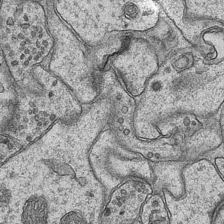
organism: Mouse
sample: CA1 Hippocampus